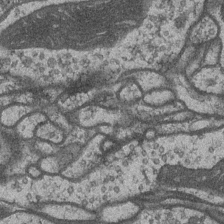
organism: Drosophila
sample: Optic medulla